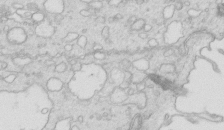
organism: Mouse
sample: Multiciliated cells